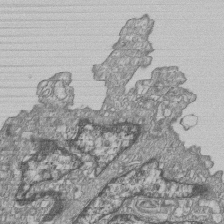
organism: Human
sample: MDA-MB-231 cells